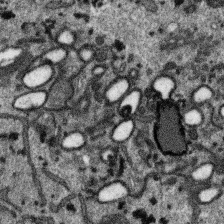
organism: Human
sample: Lung epithelial cells infected with SARS-CoV-2